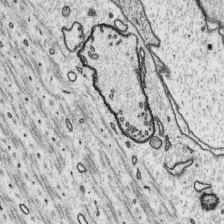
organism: Platynereis dumerilii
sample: Parapodia